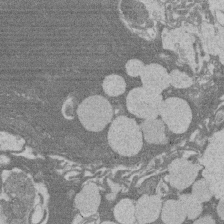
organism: Rat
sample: Salivary granule